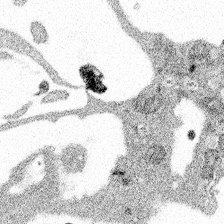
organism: Spongilla lacustris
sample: Multiple